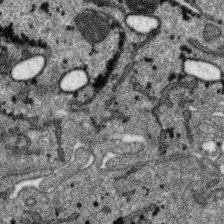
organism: Human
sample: Lung epithelial cells infected with SARS-CoV-2